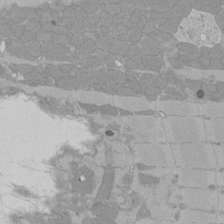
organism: Rat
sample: Left ventricle